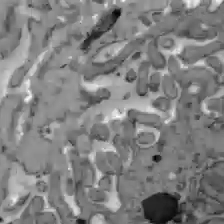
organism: C57BL Mouse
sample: Liver